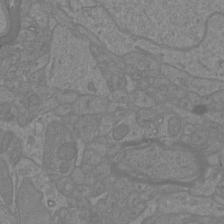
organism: Mouse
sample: Cortical neurons